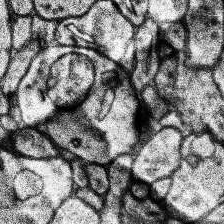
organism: Human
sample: Temporal Lobe